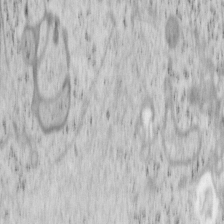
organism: Human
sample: HeLa cells